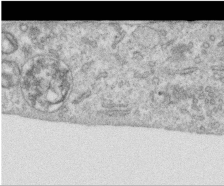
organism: Human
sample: Centriole in RPE cells